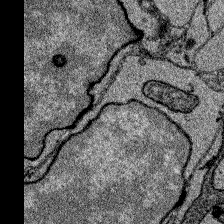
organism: Zebrafish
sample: Larval olfactory bulb